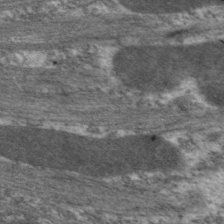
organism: C. elegans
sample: Pharynx